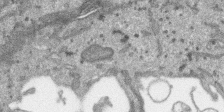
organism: Human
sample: Lung epithelial cells infected with SARS-CoV-2